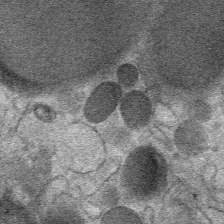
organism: Mouse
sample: Mouse Salivary gland